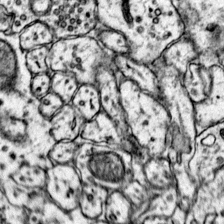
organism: Mouse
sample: Primary visual cortex